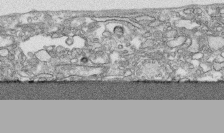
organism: Human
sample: CRL-1474